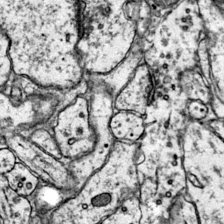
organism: Mouse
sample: Primary visual cortex